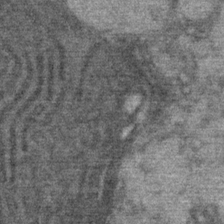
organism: Mouse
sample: Mouse Salivary gland